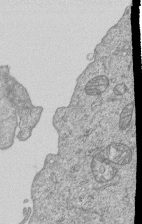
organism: Human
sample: MDA-MB-231 cells